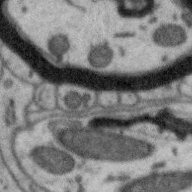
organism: Zebra finch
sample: Brain